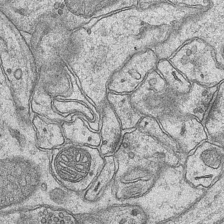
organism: Mouse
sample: CA1 Hippocampus